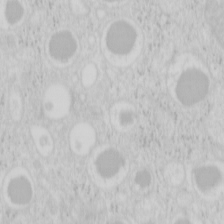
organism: Mouse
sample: Pancreas